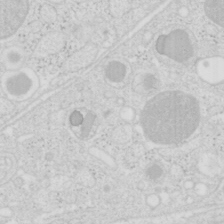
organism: Mouse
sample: Pancreas